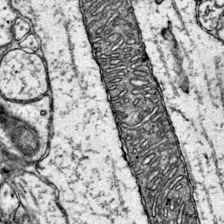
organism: Mouse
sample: Primary visual cortex